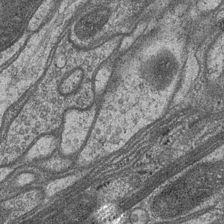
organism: Drosophila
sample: Optic medulla